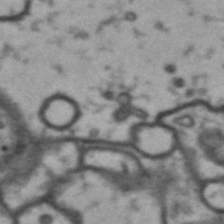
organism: Drosophila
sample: Brain